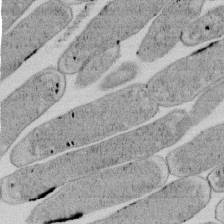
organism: E. coli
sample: Bacterial nucleoid